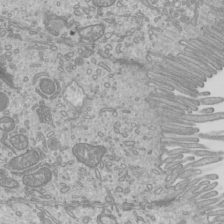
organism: Mouse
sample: Cilia; mouse epididymis